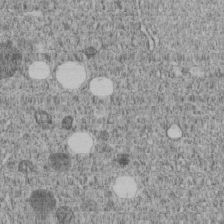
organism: C. elegans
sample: C. elegans embryo early stage